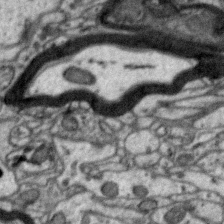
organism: Zebra finch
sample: Brain